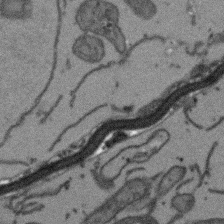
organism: Arabidopsis thaliana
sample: Root tip